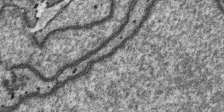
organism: Human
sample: Lung epithelial cells infected with SARS-CoV-2